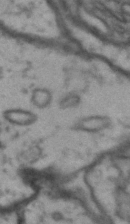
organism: Drosophila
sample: Brain